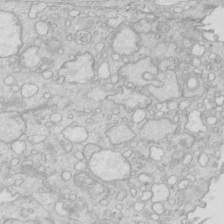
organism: Mouse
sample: Multiciliated cells